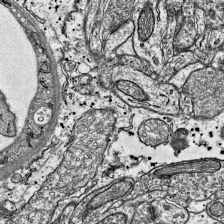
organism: Mouse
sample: Visual Cortex